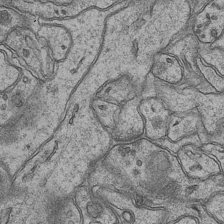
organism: Mouse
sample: CA1 Hippocampus